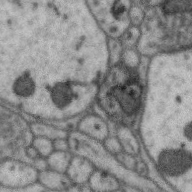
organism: Zebra finch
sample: Brain